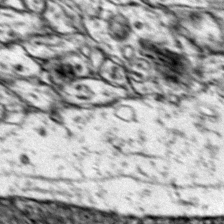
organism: Mouse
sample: Primary visual cortex